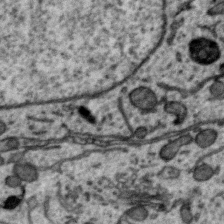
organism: Zebra finch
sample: Brain